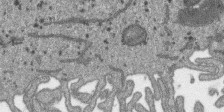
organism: Human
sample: Lung epithelial cells infected with SARS-CoV-2